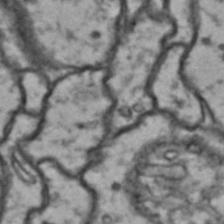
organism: Drosophila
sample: Brain